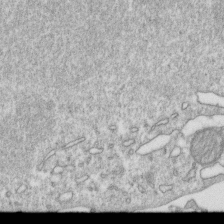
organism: Mouse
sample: Activated OT-1 CD8+ T cells